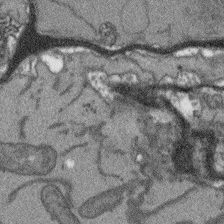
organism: Arabidopsis thaliana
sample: Root tip